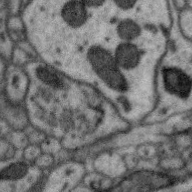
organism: Zebra finch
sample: Brain